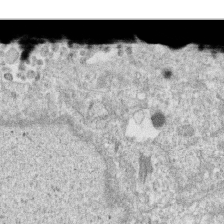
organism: Human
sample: HeLa cell HIV synapse